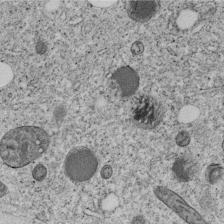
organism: C. elegans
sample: C. elegans embryo early stage